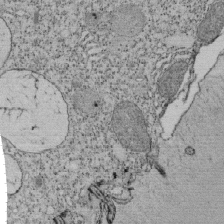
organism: Tetrahymena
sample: Cilia in tetrahymena